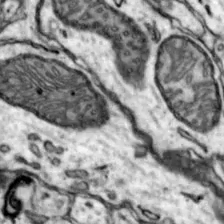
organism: Mouse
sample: Nucleus accumbens